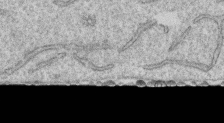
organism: Human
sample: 1205lu cells